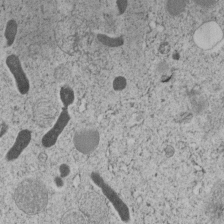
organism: C. elegans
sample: C. elegans embryo early stage